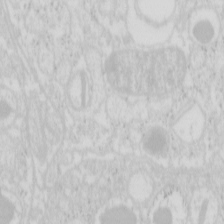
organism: Mouse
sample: Pancreas